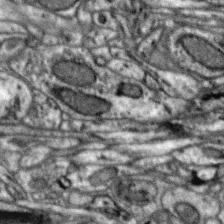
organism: Zebra finch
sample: Brain